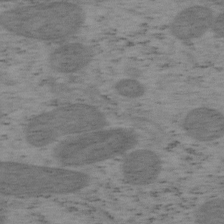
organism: Mouse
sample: OT-I killer T cells with ID8 ovarian cancer cells